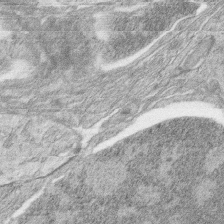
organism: Zebrafish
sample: synaptic ribbons in rod cells and cone cells